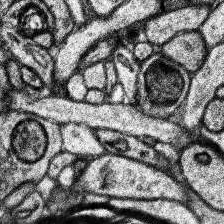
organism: Human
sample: Temporal Lobe